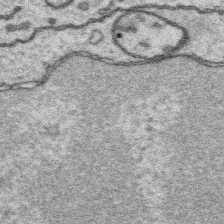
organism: Platynereis dumerilii